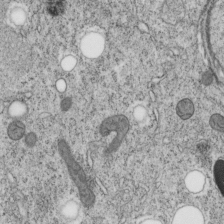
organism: C. elegans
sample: C. elegans embryo early stage